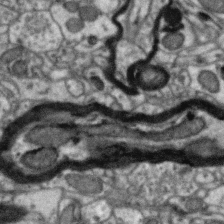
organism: Zebra finch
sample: Brain